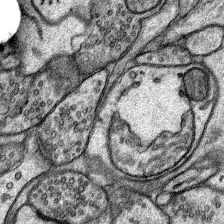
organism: Rat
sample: Hippocampus